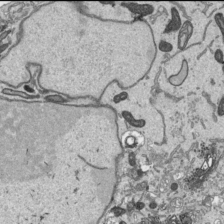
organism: Human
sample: Mitochondria in HCT116 cells